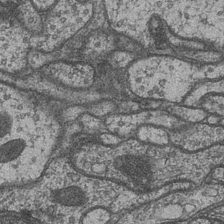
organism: Drosophila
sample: Optic medulla